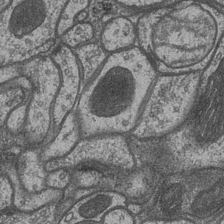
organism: Drosophila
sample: Optic medulla